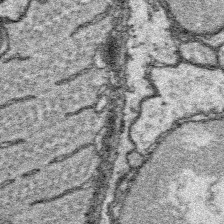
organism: Platynereis dumerilii